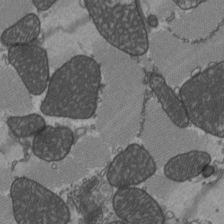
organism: C57BL Mouse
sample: Heart